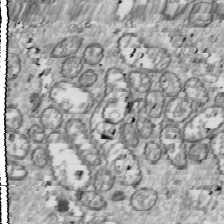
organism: Drosophila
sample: Cell division; meiosis; drosophila spermatocytes